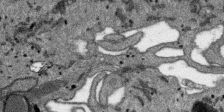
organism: Human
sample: Lung epithelial cells, uninfected (mock) control